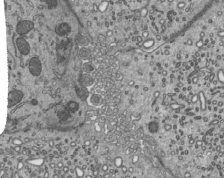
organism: Mouse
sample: Mouse epididymis efferent ductule cilia